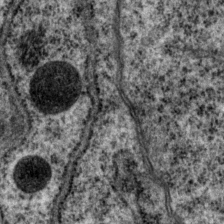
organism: P. pacificus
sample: Pharynx